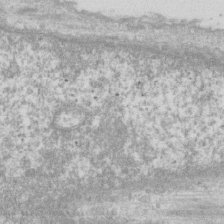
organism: Human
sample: Fibroblast cells